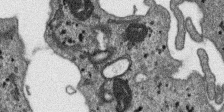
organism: Human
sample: Lung epithelial cells infected with SARS-CoV-2